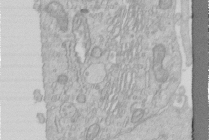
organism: Human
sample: Centriole in RPE cells